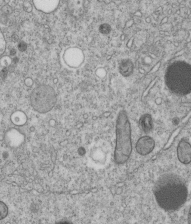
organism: C. elegans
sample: C. elegans embryo early stage